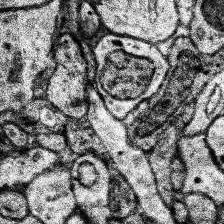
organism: Human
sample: Temporal Lobe